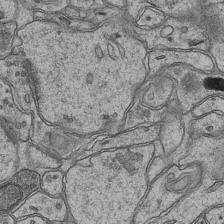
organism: Mouse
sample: CA1 Hippocampus